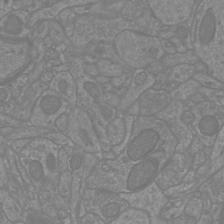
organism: Mouse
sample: Cortical neurons